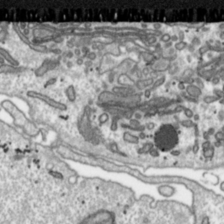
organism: Toxoplasma gondii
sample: Parasites in a vacuole inside a host cell